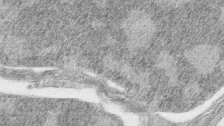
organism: Zebrafish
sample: synaptic ribbons in rod cells and cone cells